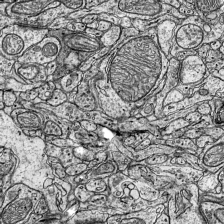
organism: Mouse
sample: Visual Cortex